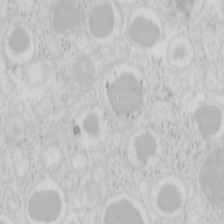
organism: Mouse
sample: Pancreas